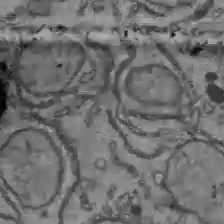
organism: C57BL Mouse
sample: Liver